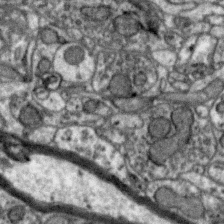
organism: Zebra finch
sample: Brain